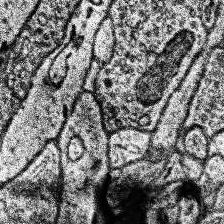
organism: Human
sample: Temporal Lobe